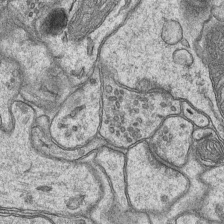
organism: Mouse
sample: CA1 Hippocampus